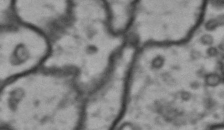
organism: Drosophila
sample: Brain